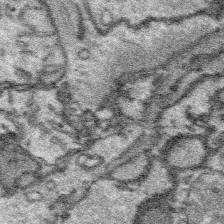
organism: Platynereis dumerilii